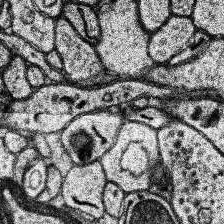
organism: Human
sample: Temporal Lobe